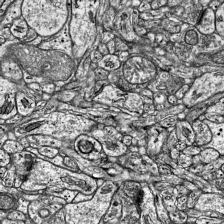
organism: Mouse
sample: Visual Cortex